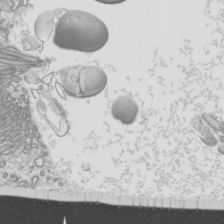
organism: Mouse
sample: Cilia; mouse epididymis